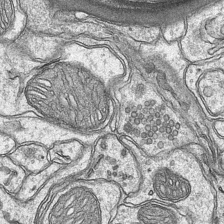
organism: Mouse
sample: CA1 Hippocampus